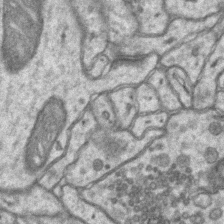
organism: Mouse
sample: CA1 Hippocampus